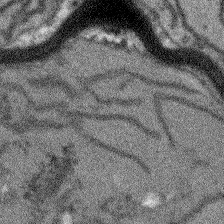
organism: Arabidopsis thaliana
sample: Root tip